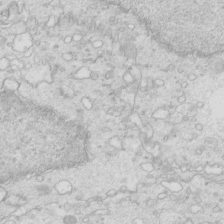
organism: Mouse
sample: Multiciliated cells